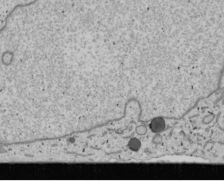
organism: Human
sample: Mitochondria in U2OS cells